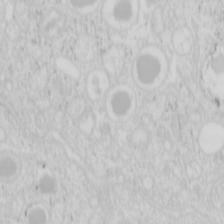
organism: Mouse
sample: Pancreas